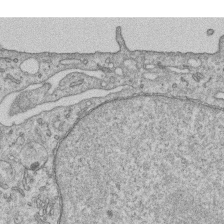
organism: Human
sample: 1205lu cells